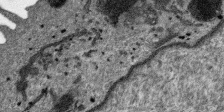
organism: Human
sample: Lung epithelial cells, uninfected (mock) control